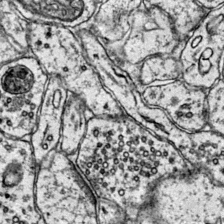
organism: Mouse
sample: Primary visual cortex